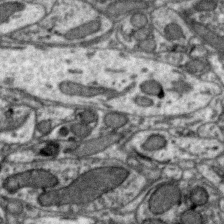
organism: Zebra finch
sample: Brain